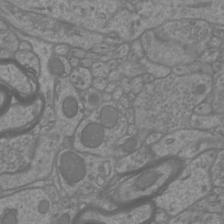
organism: Mouse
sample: Cortical neurons